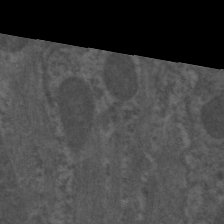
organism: C. elegans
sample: Pharynx